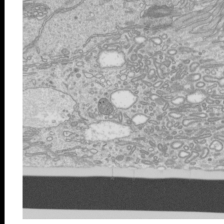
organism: Mouse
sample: Cilia; mouse epididymis